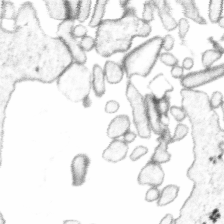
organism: Human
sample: HeLa cells